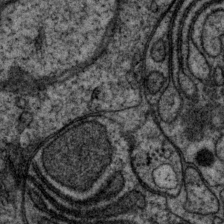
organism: P. pacificus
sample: Pharynx